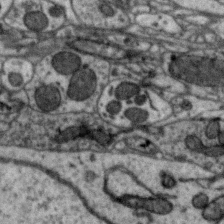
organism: Zebra finch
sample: Brain